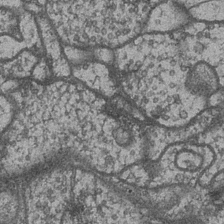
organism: Drosophila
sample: Optic medulla